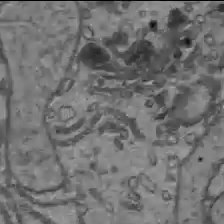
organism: C57BL Mouse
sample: Liver